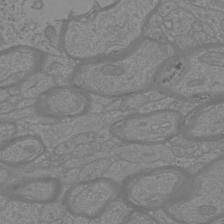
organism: Mouse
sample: Cortical neurons